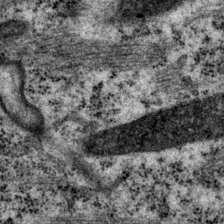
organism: P. pacificus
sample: Pharynx